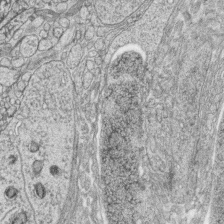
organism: Zebrafish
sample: synaptic ribbons in rod cells and cone cells